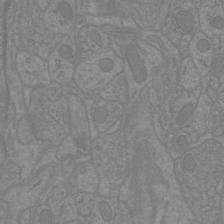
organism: Mouse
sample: Cortical neurons